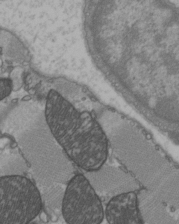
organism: C57BL Mouse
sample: Heart